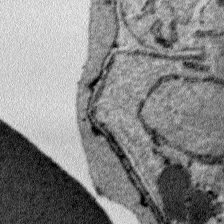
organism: Plasmodium falciparum